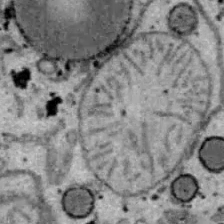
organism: Mouse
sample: Liver from an obese (ob/ob) mouse